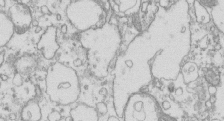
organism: Mouse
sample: Macrophages